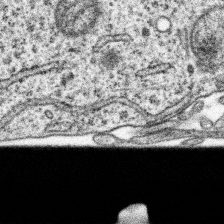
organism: Human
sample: HeLa cells